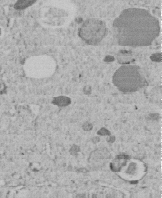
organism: C. elegans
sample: C. elegans embryo early stage